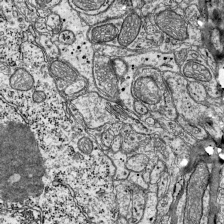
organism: Mouse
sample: Visual Cortex